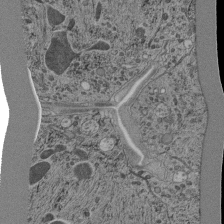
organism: C. elegans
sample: C. elegans pharynx